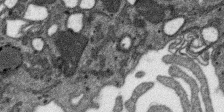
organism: Human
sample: Lung epithelial cells infected with SARS-CoV-2